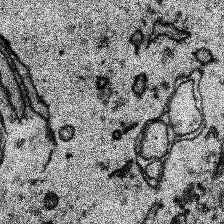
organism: Human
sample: Temporal Lobe